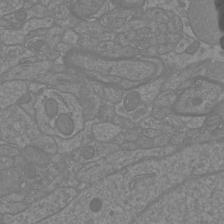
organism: Mouse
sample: Cortical neurons